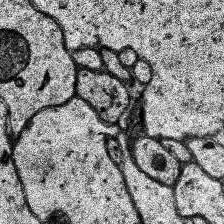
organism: Human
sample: Temporal Lobe